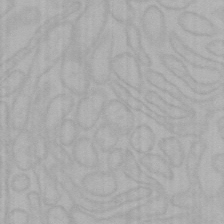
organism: Mouse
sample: Choroid plexus